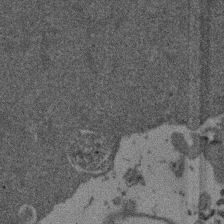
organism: Mouse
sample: Dividing mouse embryo 1 cell stage